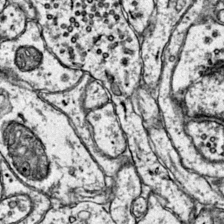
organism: Mouse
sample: Primary visual cortex